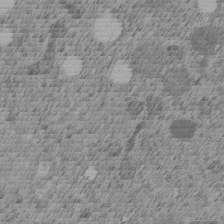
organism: C. elegans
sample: C. elegans embryo early stage